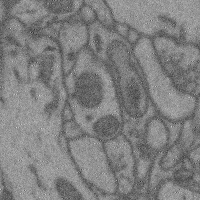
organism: Mouse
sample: Cerebral cortex